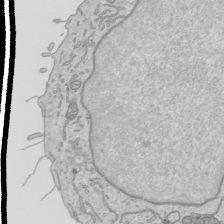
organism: Human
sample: Mitochondria in HCT116 cells